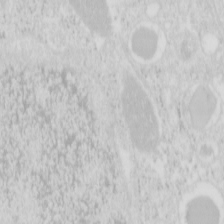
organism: Mouse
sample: Pancreas